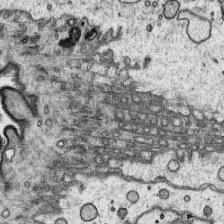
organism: Platynereis dumerilii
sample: Parapodia